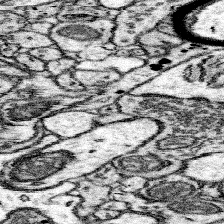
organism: Mouse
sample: Somatosensory cortex neuropil